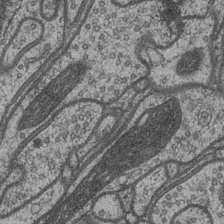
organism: Drosophila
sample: Optic medulla